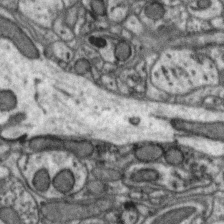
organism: Zebra finch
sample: Brain